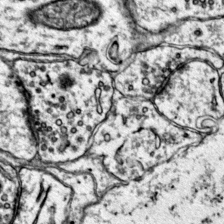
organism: Mouse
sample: Primary visual cortex